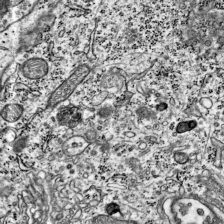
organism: Mouse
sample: Visual Cortex